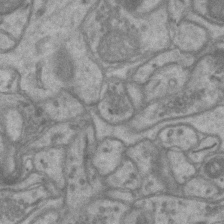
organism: Mouse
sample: CA1 Hippocampus